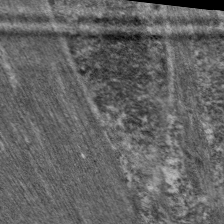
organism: C. elegans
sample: Pharynx